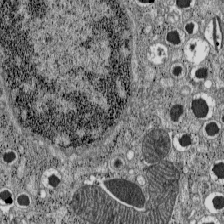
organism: C57BL Mouse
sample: Pancreatic islet